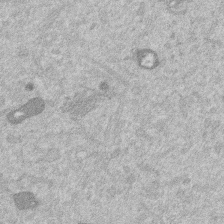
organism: Mouse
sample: Dividing mouse embryo 1 cell stage